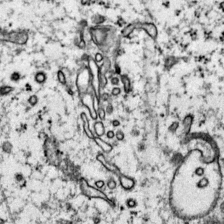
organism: Mouse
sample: Primary visual cortex